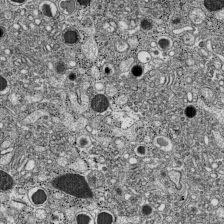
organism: C57BL Mouse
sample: Pancreatic islet